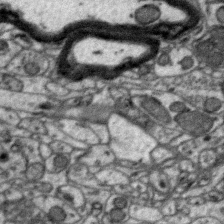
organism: Zebra finch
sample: Brain